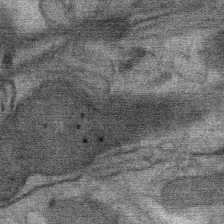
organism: Mouse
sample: Mouse Salivary gland